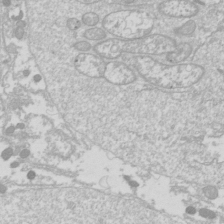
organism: Drosophila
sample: Cell division; meiosis; drosophila spermatocytes